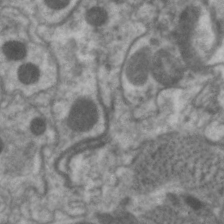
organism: C. elegans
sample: Pharynx